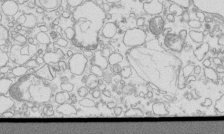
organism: Mouse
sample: Macrophages